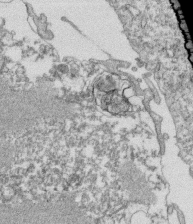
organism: Human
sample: HeLa cell HIV synapse